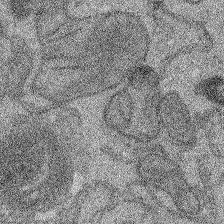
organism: Human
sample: HeLa cells